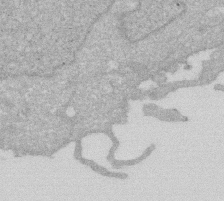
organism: Human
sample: HIV infected U937 cells